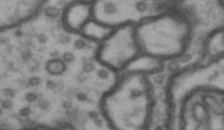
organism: Drosophila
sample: Brain